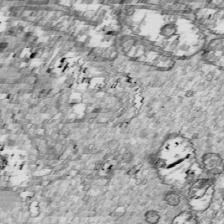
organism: Drosophila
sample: Cell division; meiosis; drosophila spermatocytes